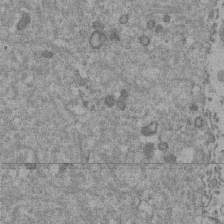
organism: Mouse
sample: Dividing mouse embryo 1 cell stage